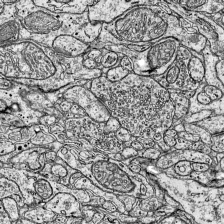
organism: Mouse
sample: Visual Cortex